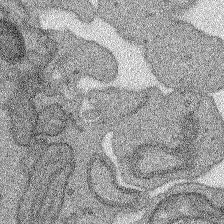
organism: Human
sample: HeLa cells